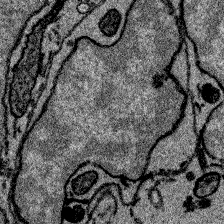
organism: Zebrafish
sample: Larval olfactory bulb